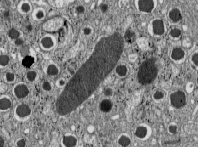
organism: C57BL Mouse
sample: Pancreatic islet